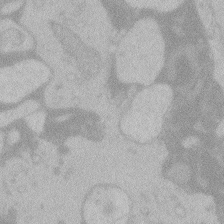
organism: Zebrafish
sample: Macrophage infected with Toxoplasma gondii